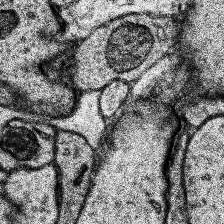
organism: Human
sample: Temporal Lobe